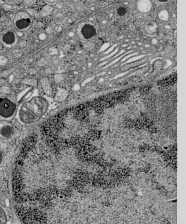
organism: C57BL Mouse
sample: Pancreatic islet